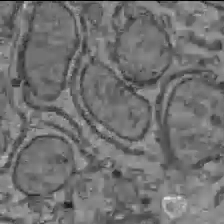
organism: C57BL Mouse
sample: Liver